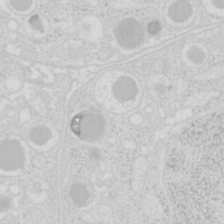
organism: Mouse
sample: Pancreas